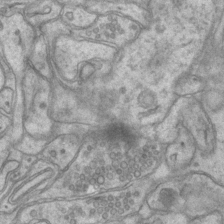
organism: Mouse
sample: CA1 Hippocampus